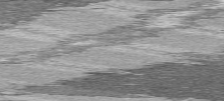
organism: C57BL Mouse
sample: Heart